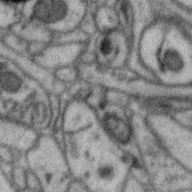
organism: Zebra finch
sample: Brain